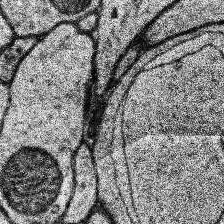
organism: Human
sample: Temporal Lobe